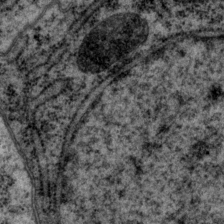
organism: P. pacificus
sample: Pharynx